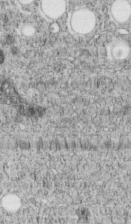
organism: C. elegans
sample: C. elegans embryo early stage